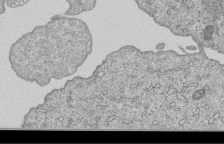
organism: Human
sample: MDA-MB-231 cells